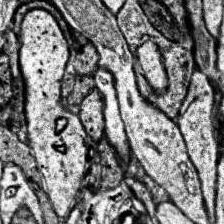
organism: Human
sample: Temporal Lobe